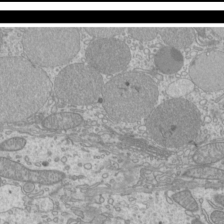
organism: Mouse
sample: Cilia; mouse epididymis